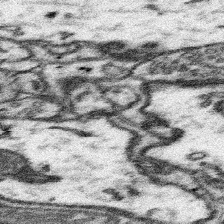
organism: Mouse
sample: Somatosensory cortex neuropil